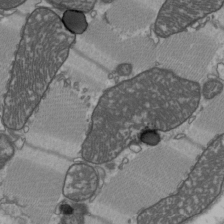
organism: C57BL Mouse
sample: Heart